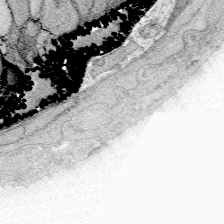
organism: Zebrafish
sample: Whole-Brain